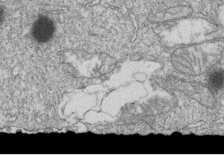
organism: Human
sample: HeLa cell HIV synapse